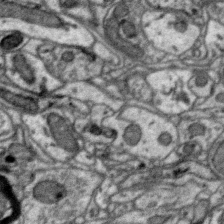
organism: Zebra finch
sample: Brain